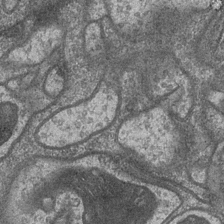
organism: Drosophila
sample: Optic medulla